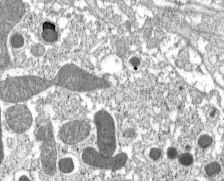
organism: C57BL Mouse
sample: Pancreatic islet